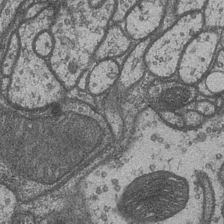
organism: Drosophila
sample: Optic medulla